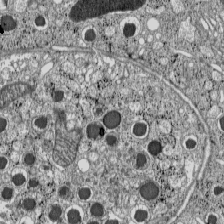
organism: C57BL Mouse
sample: Pancreatic islet